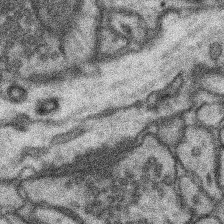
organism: Mouse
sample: Somatosensory cortex neuropil